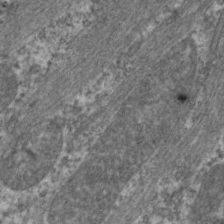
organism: C. elegans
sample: Pharynx